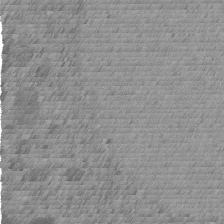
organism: C. elegans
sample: C. elegans embryo early stage